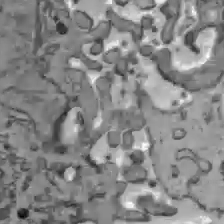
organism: C57BL Mouse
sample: Liver